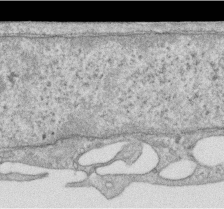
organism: Human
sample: Centriole in RPE cells